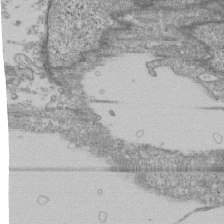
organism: Human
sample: Fibroblast cells